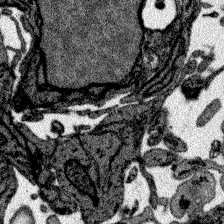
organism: Zebrafish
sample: Larval olfactory bulb